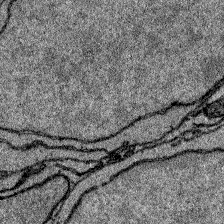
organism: Zebrafish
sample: Larval olfactory bulb